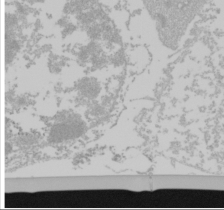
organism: Mouse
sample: Cancer cell death in ED-1 cells